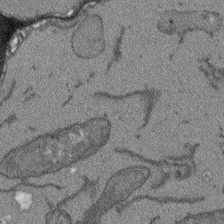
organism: Arabidopsis thaliana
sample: Root tip